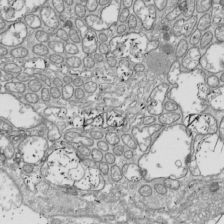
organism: Drosophila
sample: Cell division; meiosis; drosophila spermatocytes